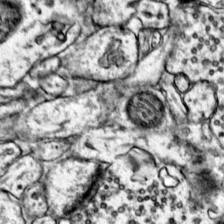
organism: Mouse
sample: Primary visual cortex